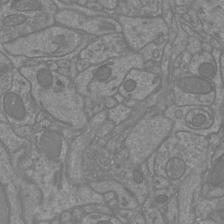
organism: Mouse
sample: Cortical neurons